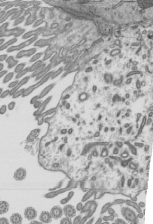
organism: Mouse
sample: Mouse epididymis efferent ductule cilia